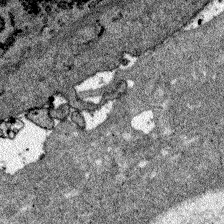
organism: Zebrafish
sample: Larval olfactory bulb